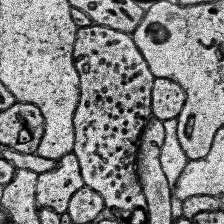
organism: Human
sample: Temporal Lobe